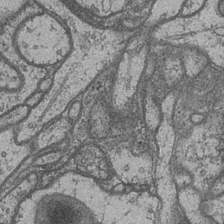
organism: Drosophila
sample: Optic medulla